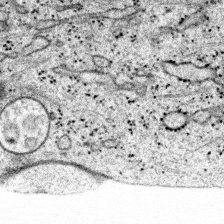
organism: Human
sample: HeLa cells